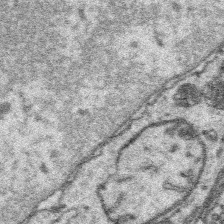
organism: Platynereis dumerilii